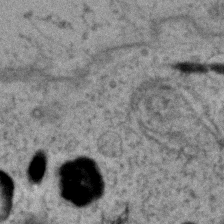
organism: Zebrafish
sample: Zebrafish embryo